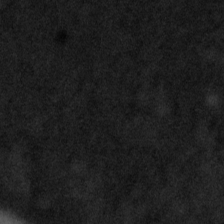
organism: Tuwongella immobilis